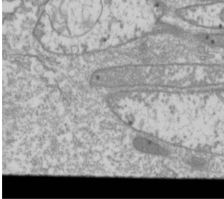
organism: Drosophila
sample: Cell division; meiosis; drosophila spermatocytes